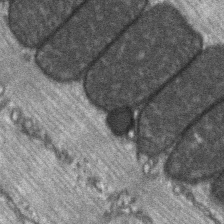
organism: C57BL Mouse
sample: Soleus